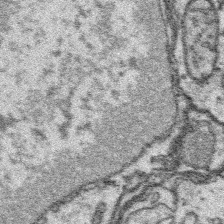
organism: Platynereis dumerilii